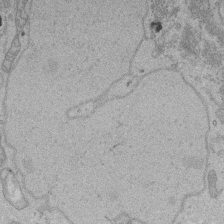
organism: Human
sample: Activated Jurkat CD4+ T cells